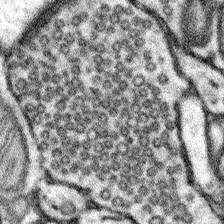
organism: Mouse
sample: Somatosensory cortex neuropil